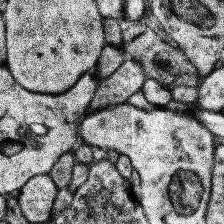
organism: Human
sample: Temporal Lobe